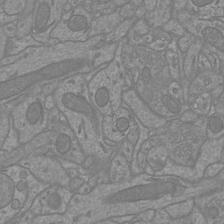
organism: Mouse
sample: Cortical neurons